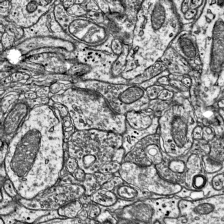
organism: Mouse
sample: Visual Cortex